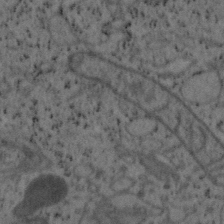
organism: Human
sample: HeLa cells